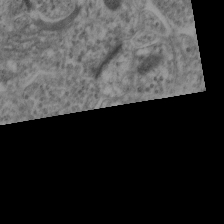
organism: Mouse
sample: Neocortex